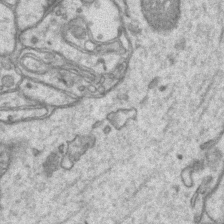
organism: Mouse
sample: CA1 Hippocampus